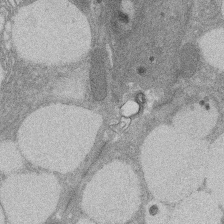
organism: Rat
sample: Salivary granule